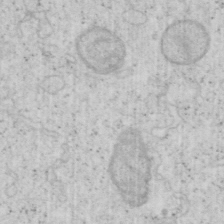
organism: Human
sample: HeLa cells